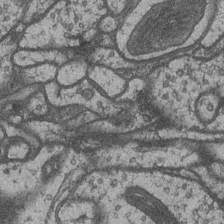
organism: Drosophila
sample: Optic medulla